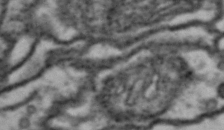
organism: Drosophila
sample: Brain